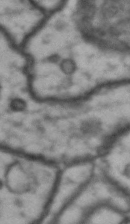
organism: Drosophila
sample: Brain